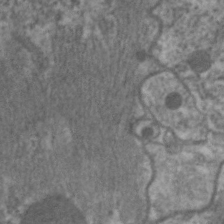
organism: C. elegans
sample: Pharynx